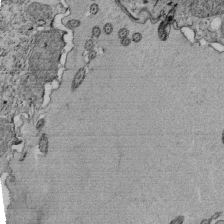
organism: Tetrahymena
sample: Cilia in tetrahymena